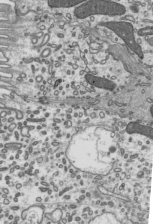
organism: Mouse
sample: Mouse epididymis efferent ductule cilia